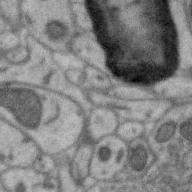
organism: Zebra finch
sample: Brain